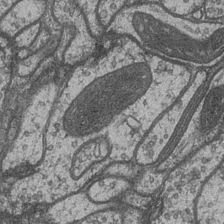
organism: Drosophila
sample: Optic medulla